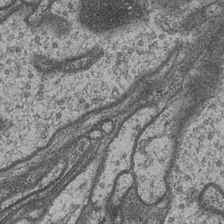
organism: Drosophila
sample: Optic medulla